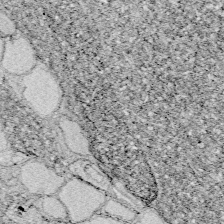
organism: Zebrafish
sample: Whole-Brain